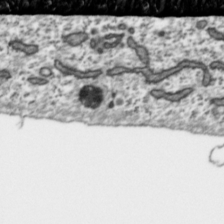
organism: Toxoplasma gondii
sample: Parasites in a vacuole inside a host cell